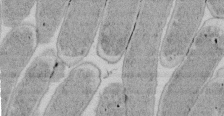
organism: E. coli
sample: Bacterial nucleoid